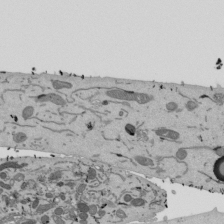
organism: Mouse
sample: ED-1 cell nuclei; centrioles